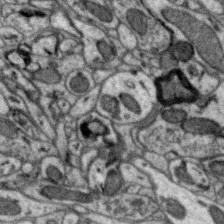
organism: Zebra finch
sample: Brain